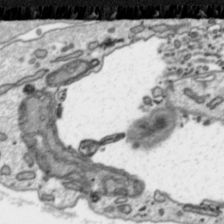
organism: Toxoplasma gondii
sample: Parasites in a vacuole inside a host cell